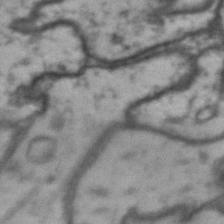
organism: Drosophila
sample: Brain